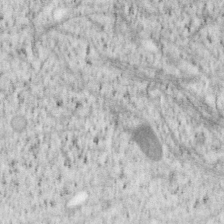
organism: Mouse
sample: OT-I killer T cells with ID8 ovarian cancer cells